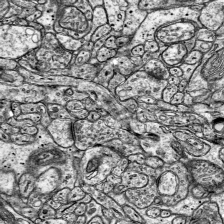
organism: Mouse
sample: Visual Cortex